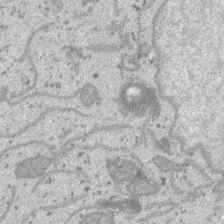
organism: Human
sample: Lung epithelial cells infected with SARS-CoV-2